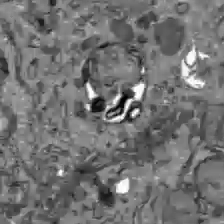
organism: C57BL Mouse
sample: Liver